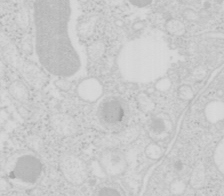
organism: Mouse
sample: Pancreas